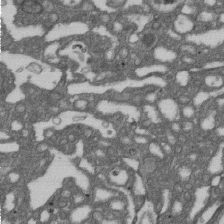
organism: Drosophila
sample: Nephrocyte